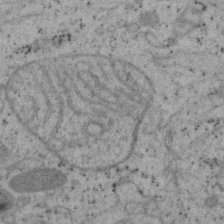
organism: Human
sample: HeLa cells